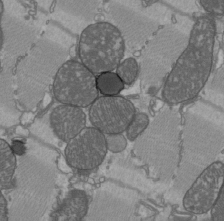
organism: C57BL Mouse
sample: Heart